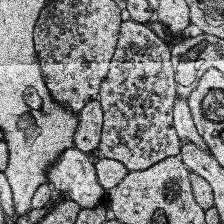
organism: Human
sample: Temporal Lobe